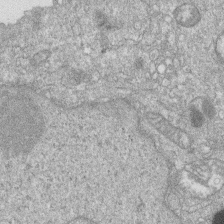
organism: Human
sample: HeLa cell HIV synapse